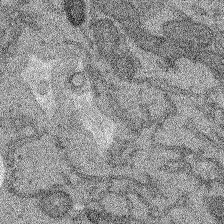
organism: Human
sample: HeLa cells